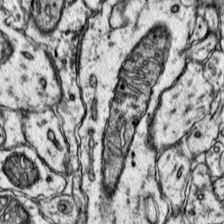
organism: Mouse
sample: Primary visual cortex